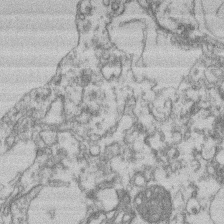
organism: Mouse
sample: T cell stromal cell synapse